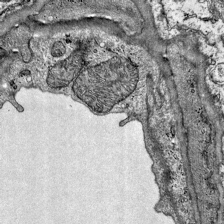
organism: Mouse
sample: Visual Cortex